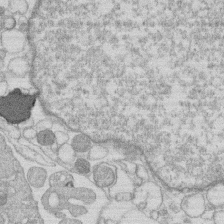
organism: Human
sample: Macrophage cells